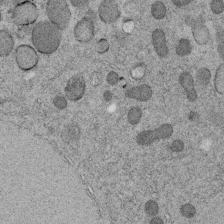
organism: C. elegans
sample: C. elegans embryo early stage